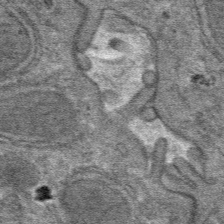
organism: Mouse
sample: Mouse hepatocytes